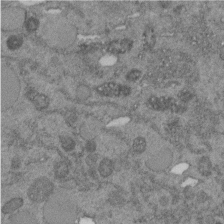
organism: C. elegans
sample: C. elegans embryo early stage